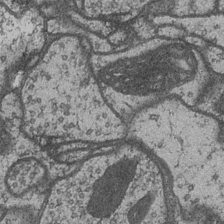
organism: Drosophila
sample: Optic medulla